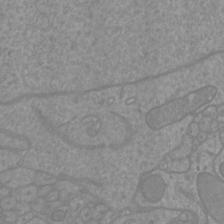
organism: Mouse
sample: Cortical neurons